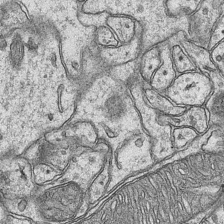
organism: Mouse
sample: CA1 Hippocampus